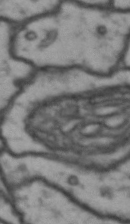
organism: Drosophila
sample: Brain